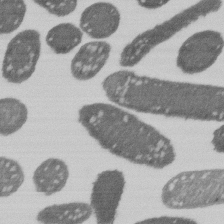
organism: E. coli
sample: Bacterial nucleoid